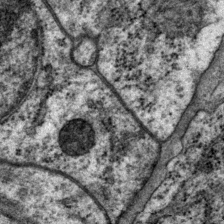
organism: P. pacificus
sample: Pharynx